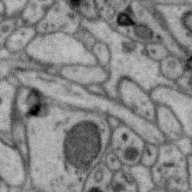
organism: Zebra finch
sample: Brain